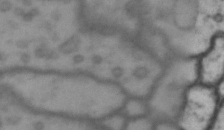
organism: Drosophila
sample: Brain